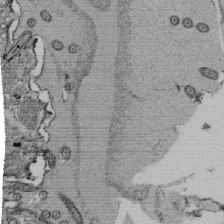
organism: Tetrahymena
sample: Cilia in tetrahymena